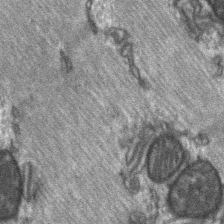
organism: C57BL Mouse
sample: Soleus